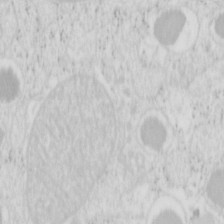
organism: Mouse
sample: Pancreas